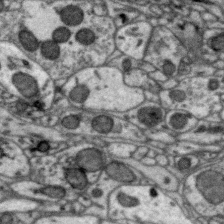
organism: Zebra finch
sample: Brain